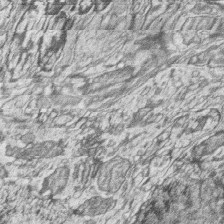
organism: Zebrafish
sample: synaptic ribbons in rod cells and cone cells